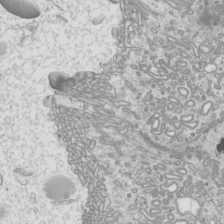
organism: Mouse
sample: Cilia; mouse epididymis